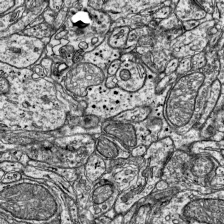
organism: Mouse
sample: Visual Cortex